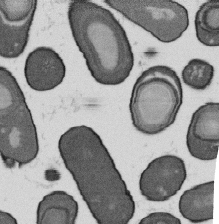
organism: B. subtilis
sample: Bacterial spore